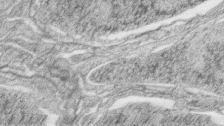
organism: Zebrafish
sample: synaptic ribbons in rod cells and cone cells